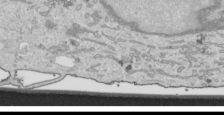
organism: Human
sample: Mitochondria in HCT116 cells